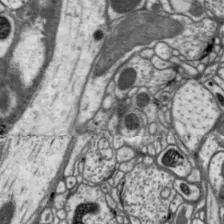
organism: Drosophila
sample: Protocerebral bridge